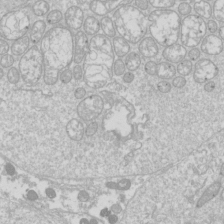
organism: Drosophila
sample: Cell division; meiosis; drosophila spermatocytes